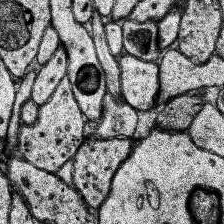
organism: Human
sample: Temporal Lobe